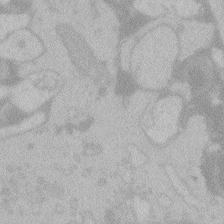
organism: Zebrafish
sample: Macrophage infected with Toxoplasma gondii